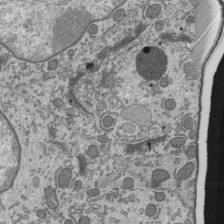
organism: Mouse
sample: Mouse epididymis efferent ductule cilia